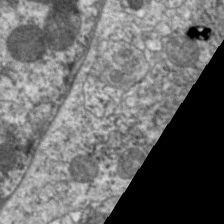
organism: C. elegans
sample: Pharynx